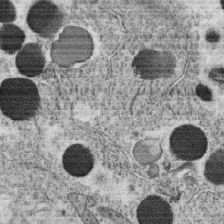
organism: C. elegans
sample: C. elegans oocyte; sperm cells